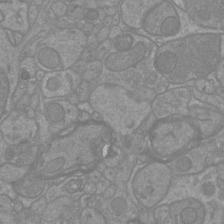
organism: Mouse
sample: Cortical neurons